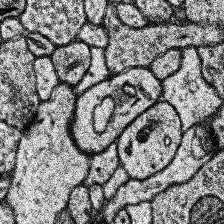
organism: Human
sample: Temporal Lobe